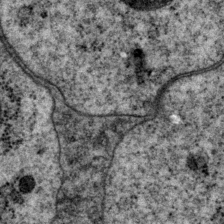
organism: P. pacificus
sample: Pharynx